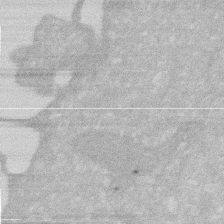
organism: Human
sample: HIV infected U937 cells